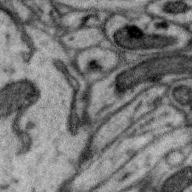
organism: Zebra finch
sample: Brain